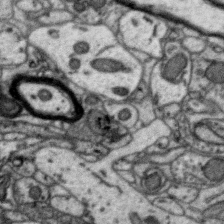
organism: Zebra finch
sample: Brain